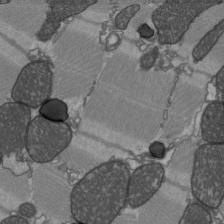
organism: C57BL Mouse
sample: Heart